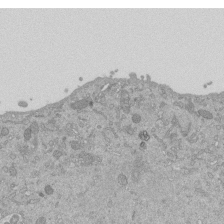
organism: Mouse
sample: ED-1 cell nuclei; centrioles